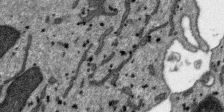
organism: Human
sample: Lung epithelial cells, uninfected (mock) control